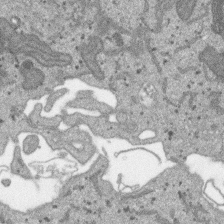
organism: Human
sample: Lung epithelial cells infected with SARS-CoV-2